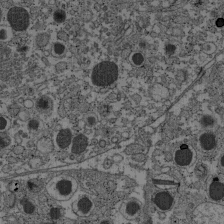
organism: C57BL Mouse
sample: Pancreatic islet